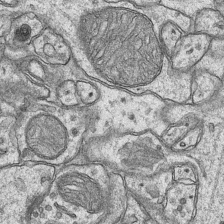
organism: Mouse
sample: CA1 Hippocampus